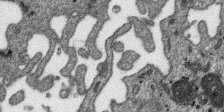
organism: Human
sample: Lung epithelial cells infected with SARS-CoV-2